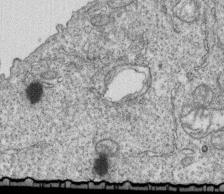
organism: Human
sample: HeLa cell HIV synapse